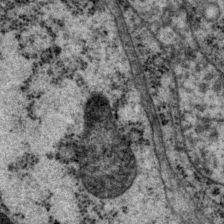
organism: P. pacificus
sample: Pharynx